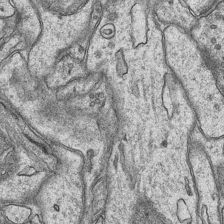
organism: Mouse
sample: CA1 Hippocampus